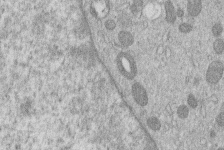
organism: Human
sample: Macrophage cells